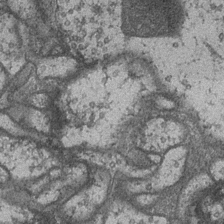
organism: Drosophila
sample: Optic medulla